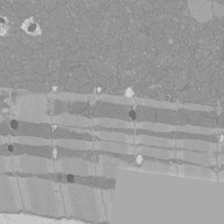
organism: Rat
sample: Left ventricle